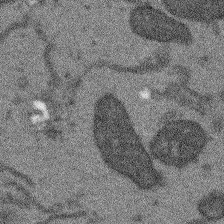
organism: Arabidopsis thaliana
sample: Root tip